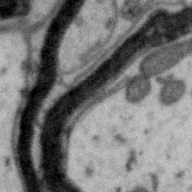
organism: Zebra finch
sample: Brain